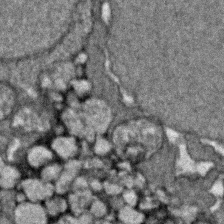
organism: Zebrafish